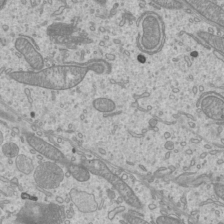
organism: Mouse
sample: Cilia; mouse epididymis